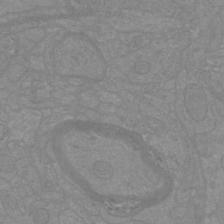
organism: Mouse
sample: Cortical neurons